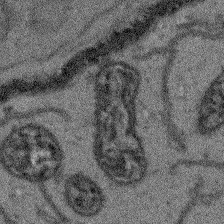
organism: Arabidopsis thaliana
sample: Root tip